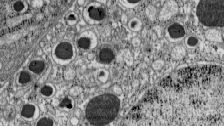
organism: C57BL Mouse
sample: Pancreatic islet